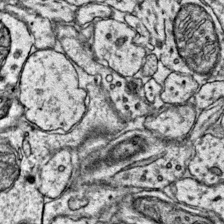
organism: Mouse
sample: Primary visual cortex